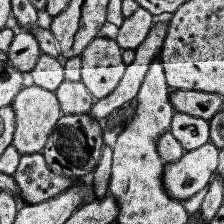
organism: Human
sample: Temporal Lobe